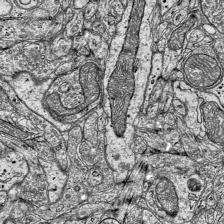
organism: Mouse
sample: Visual Cortex